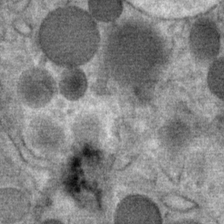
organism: Mouse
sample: Mouse Salivary gland